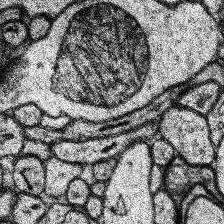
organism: Human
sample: Temporal Lobe